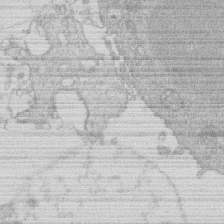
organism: Human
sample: Macrophage cells